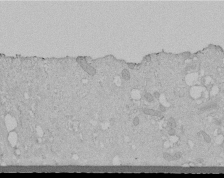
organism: Human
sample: Melanocyte Keratinocyte synapse skin construct